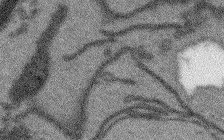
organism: Arabidopsis thaliana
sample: Root tip